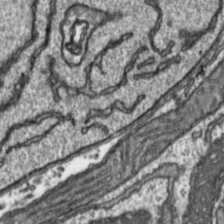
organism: Toxoplasma gondii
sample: Parasites in a vacuole inside a host cell